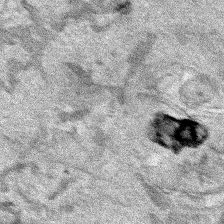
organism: Human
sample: Mitochondria in HCT116 cells